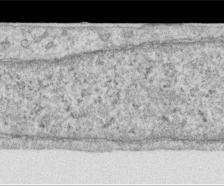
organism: Human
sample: Centriole in RPE cells